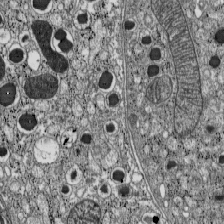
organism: C57BL Mouse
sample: Pancreatic islet